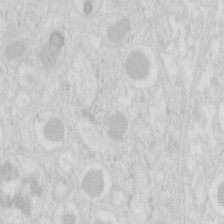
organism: Mouse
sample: Pancreas